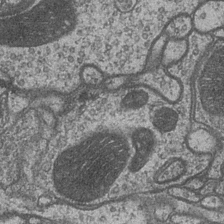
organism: Drosophila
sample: Optic medulla